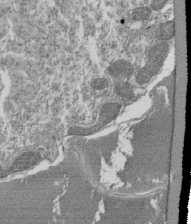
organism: Tetrahymena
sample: Cilia in tetrahymena